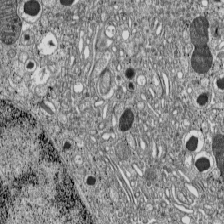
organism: C57BL Mouse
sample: Pancreatic islet